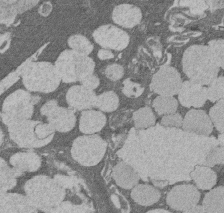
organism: Rat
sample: Salivary granule